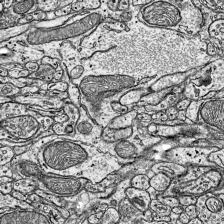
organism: Mouse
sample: Visual Cortex